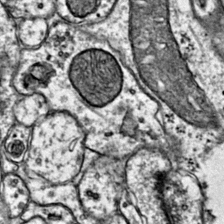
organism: Mouse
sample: Primary visual cortex